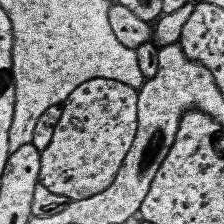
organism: Human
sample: Temporal Lobe